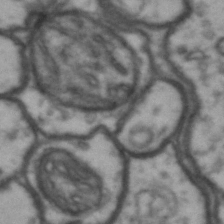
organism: Drosophila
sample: Brain